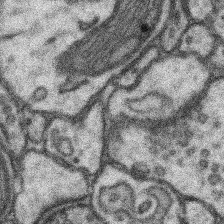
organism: Mouse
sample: Somatosensory cortex neuropil